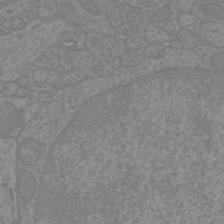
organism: Mouse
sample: Cortical neurons